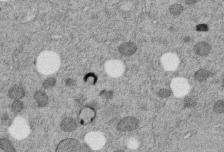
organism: C. elegans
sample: C. elegans embryo early stage